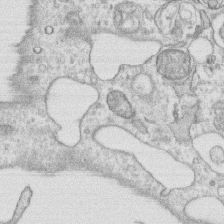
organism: Human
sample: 1205lu cells